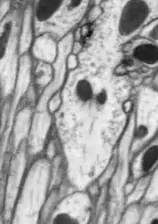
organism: Drosophila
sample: Optic lobe